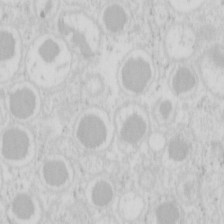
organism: Mouse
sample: Pancreas